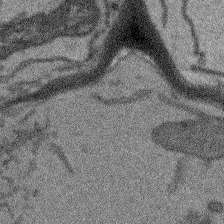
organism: Arabidopsis thaliana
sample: Root tip